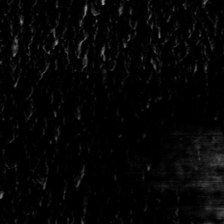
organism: Toxoplasma gondii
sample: Parasites in a vacuole inside a host cell